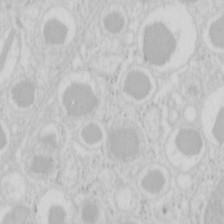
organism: Mouse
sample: Pancreas